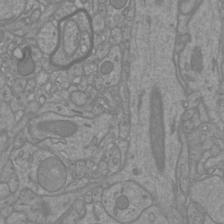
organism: Mouse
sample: Cortical neurons